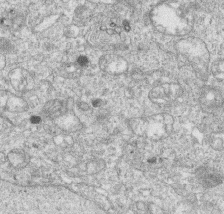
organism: Human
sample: HeLa cell HIV synapse